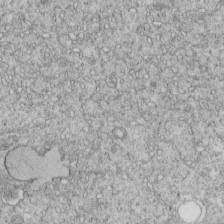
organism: C. elegans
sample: C. elegans embryo early stage